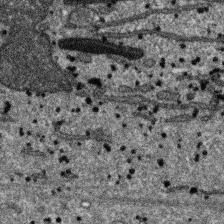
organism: Human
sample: Lung epithelial cells infected with SARS-CoV-2